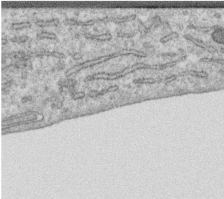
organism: Human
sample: Centriole in RPE cells